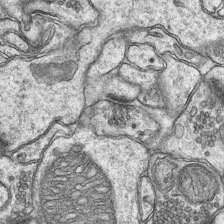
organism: Mouse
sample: CA1 Hippocampus